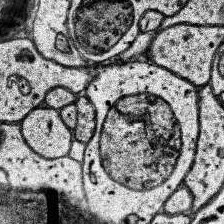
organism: Human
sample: Temporal Lobe